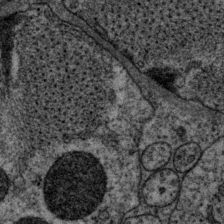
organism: P. pacificus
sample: Pharynx